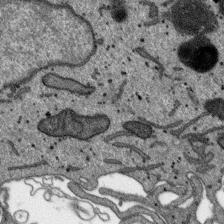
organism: Human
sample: Lung epithelial cells, uninfected (mock) control